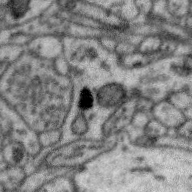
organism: Zebra finch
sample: Brain